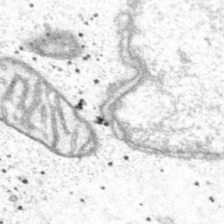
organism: Human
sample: HeLa cells